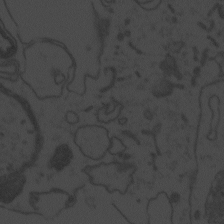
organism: Zebrafish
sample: Macrophage infected with Toxoplasma gondii